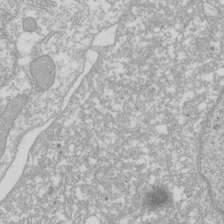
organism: Xenopus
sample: Cilia; centrioles in frog embryo cells